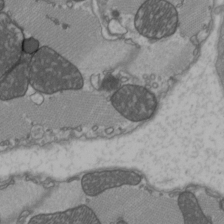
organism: C57BL Mouse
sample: Heart